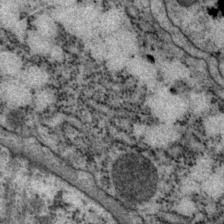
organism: P. pacificus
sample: Pharynx